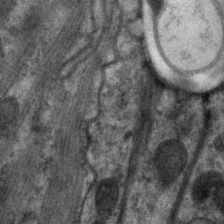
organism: C. elegans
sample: Pharynx